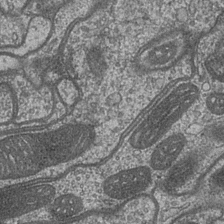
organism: Drosophila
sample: Optic medulla